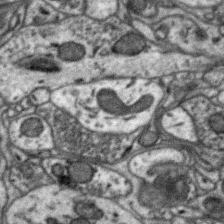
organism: Zebra finch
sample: Brain